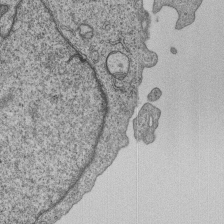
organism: Human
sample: MDA-MB-231 cells